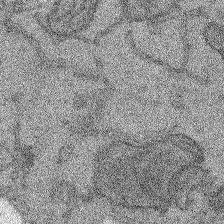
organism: Human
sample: HeLa cells